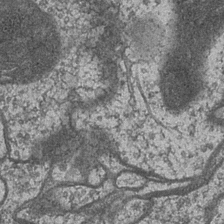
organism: Drosophila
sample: Optic medulla